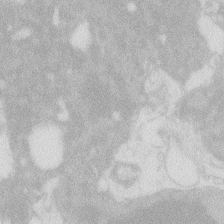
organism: Zebrafish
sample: Macrophage